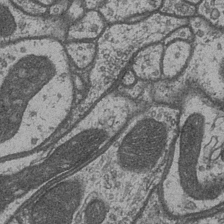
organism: Drosophila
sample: Optic medulla